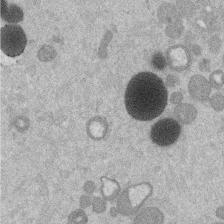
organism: Mouse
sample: Dividing mouse embryo 1 cell stage